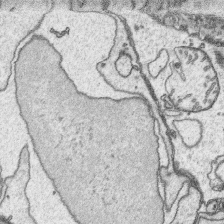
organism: Platynereis dumerilii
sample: Parapodia